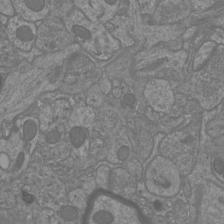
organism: Mouse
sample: Cortical neurons